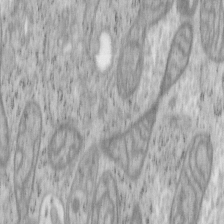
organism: Human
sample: HeLa cells